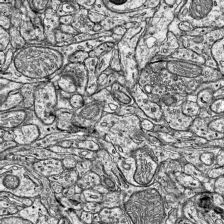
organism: Mouse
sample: Visual Cortex